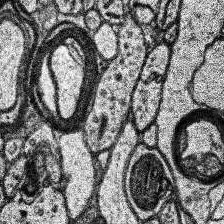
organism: Human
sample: Temporal Lobe